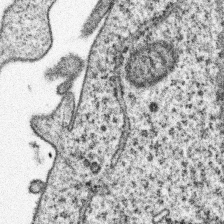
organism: Human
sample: HeLa cells